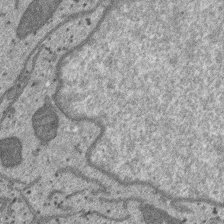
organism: Human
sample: Lung epithelial cells infected with SARS-CoV-2